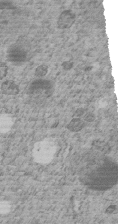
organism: C. elegans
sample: C. elegans embryo early stage